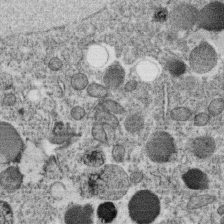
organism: C. elegans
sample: C. elegans oocyte; sperm cells